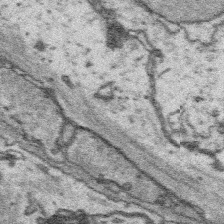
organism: Platynereis dumerilii